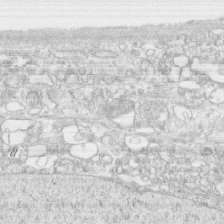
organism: Human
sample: CRL-1474